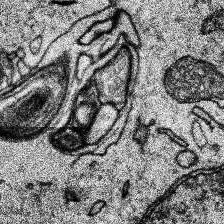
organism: Human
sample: Temporal Lobe